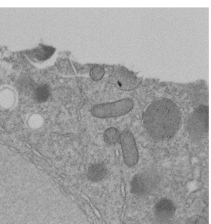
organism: C. elegans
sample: C. elegans embryo early stage